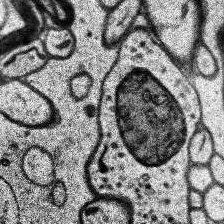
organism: Human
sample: Temporal Lobe